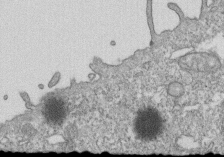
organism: Human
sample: HeLa cell HIV synapse